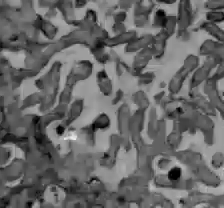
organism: C57BL Mouse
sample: Liver